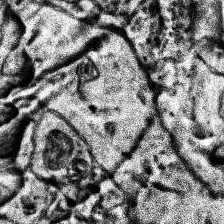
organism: Human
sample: Temporal Lobe